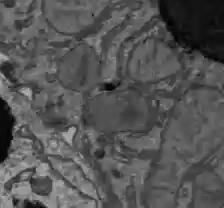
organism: C57BL Mouse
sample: Liver